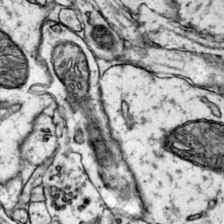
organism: Mouse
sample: Primary visual cortex